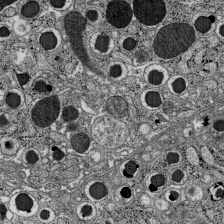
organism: C57BL Mouse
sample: Pancreatic islet